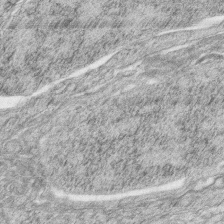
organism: Zebrafish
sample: synaptic ribbons in rod cells and cone cells